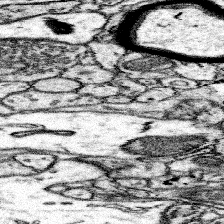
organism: Mouse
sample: Somatosensory cortex neuropil